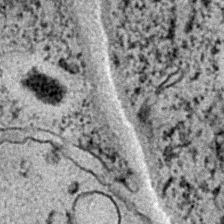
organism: C. elegans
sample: C. elegans embryo